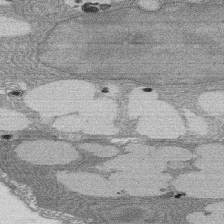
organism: Rat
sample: Salivary granule